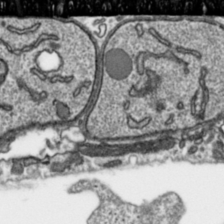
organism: Toxoplasma gondii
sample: Parasites in a vacuole inside a host cell